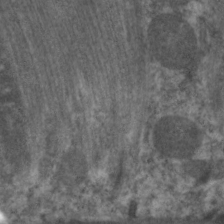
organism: C. elegans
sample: Pharynx